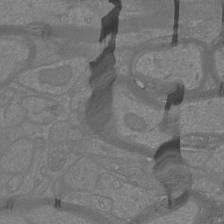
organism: Mouse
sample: Cortical neurons